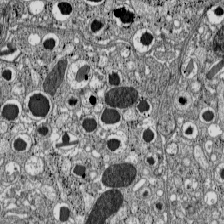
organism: C57BL Mouse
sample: Pancreatic islet